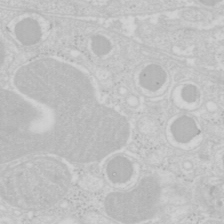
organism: Mouse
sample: Pancreas